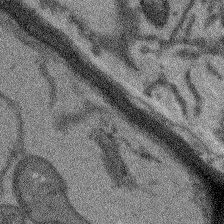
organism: Arabidopsis thaliana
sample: Root tip